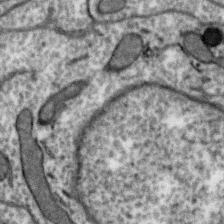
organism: Zebra finch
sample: Brain